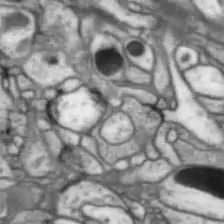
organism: Drosophila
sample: Optic lobe